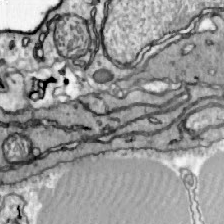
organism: Zebrafish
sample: Actinotrichia fibers